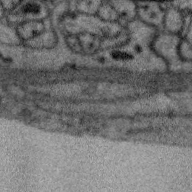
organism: Zebra finch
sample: Brain